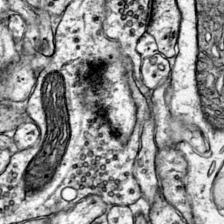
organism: Mouse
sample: Primary visual cortex